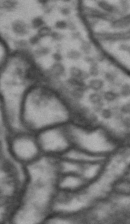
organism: Drosophila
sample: Brain